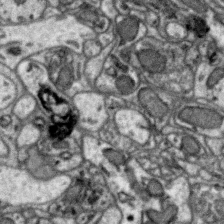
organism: Zebra finch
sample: Brain